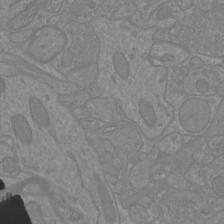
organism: Mouse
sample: Cortical neurons